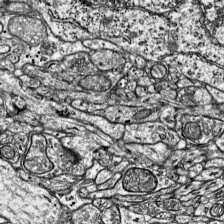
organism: Mouse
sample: Visual Cortex